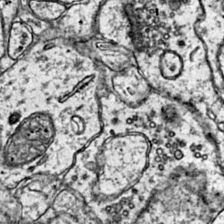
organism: Mouse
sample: Primary visual cortex